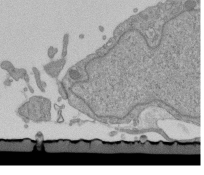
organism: Mouse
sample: ED-1 cell nuclei; centrioles